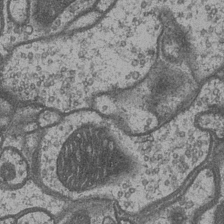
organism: Drosophila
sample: Optic medulla